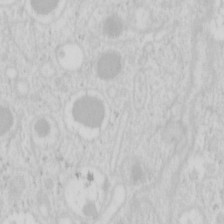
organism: Mouse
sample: Pancreas